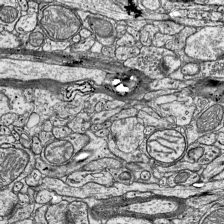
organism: Mouse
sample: Visual Cortex